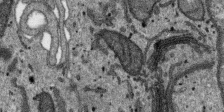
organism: Human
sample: Lung epithelial cells, uninfected (mock) control